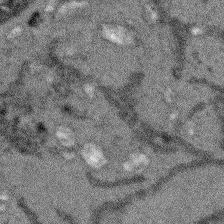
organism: Arabidopsis thaliana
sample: Root tip